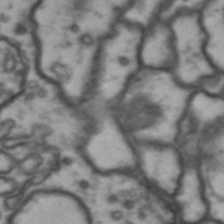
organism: Drosophila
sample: Brain